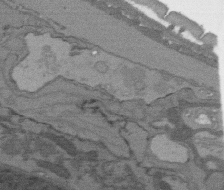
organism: C. elegans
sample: AFD neurons C. elegans